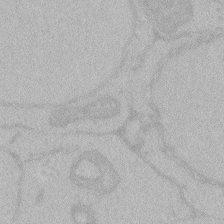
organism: Zebrafish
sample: Macrophage infected with Toxoplasma gondii